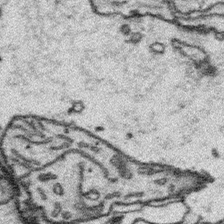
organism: Platynereis dumerilii